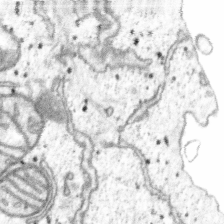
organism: Human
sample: HeLa cells